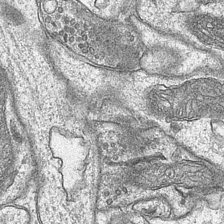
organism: Mouse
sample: CA1 Hippocampus